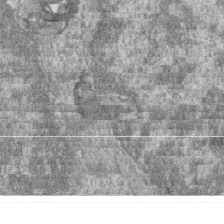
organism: Zebrafish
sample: Cilia; retinal pigment epithelium